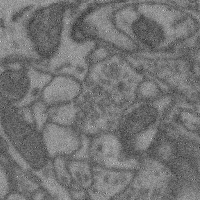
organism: Mouse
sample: Cerebral cortex